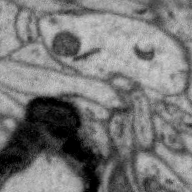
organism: Zebra finch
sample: Brain